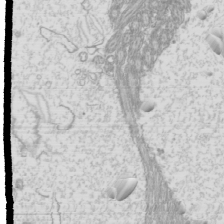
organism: Mouse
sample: Cilia; mouse epididymis